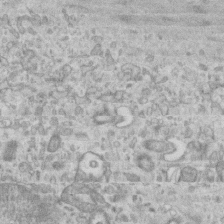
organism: Mouse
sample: Centriole in ependymal cells